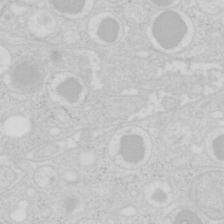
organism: Mouse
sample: Pancreas